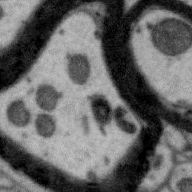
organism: Zebra finch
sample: Brain